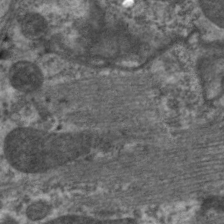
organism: C. elegans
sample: Pharynx